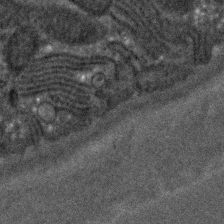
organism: C. elegans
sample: C. elegans embryo